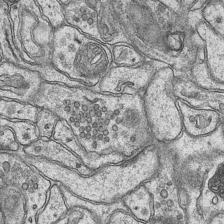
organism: Mouse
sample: CA1 Hippocampus